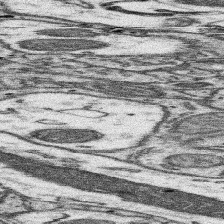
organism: Mouse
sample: Somatosensory cortex neuropil